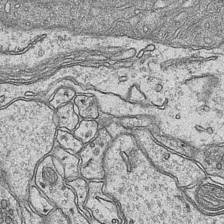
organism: Mouse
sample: CA1 Hippocampus